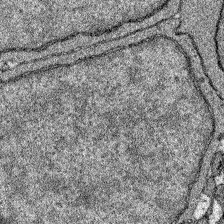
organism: Zebrafish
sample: Larval olfactory bulb